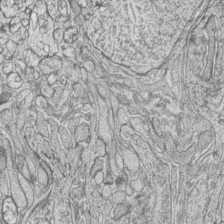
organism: Zebrafish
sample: synaptic ribbons in rod cells and cone cells